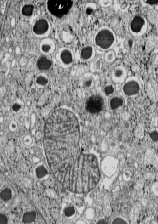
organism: C57BL Mouse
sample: Pancreatic islet